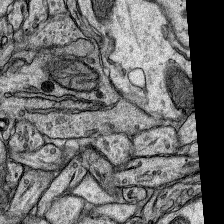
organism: Rat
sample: Hippocampus